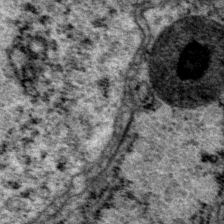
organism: P. pacificus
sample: Pharynx